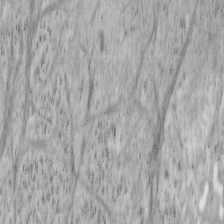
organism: Human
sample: HeLa cells